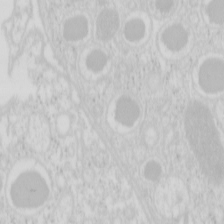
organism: Mouse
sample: Pancreas